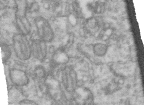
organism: Human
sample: Centriole in RPE cells